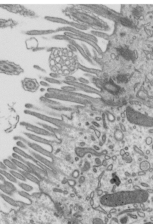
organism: Mouse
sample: Mouse epididymis efferent ductule cilia